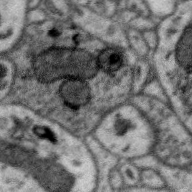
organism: Zebra finch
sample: Brain